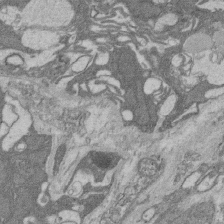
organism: Rat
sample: Salivary granule